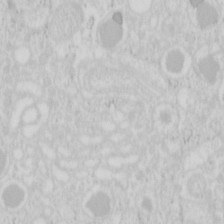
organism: Mouse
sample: Pancreas